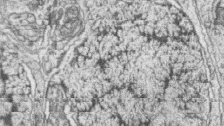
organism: Zebrafish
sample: synaptic ribbons in rod cells and cone cells